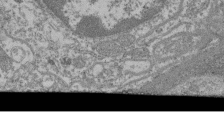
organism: Mouse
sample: Glomerulus